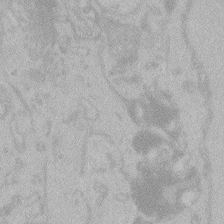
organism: Zebrafish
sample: Macrophage infected with Toxoplasma gondii